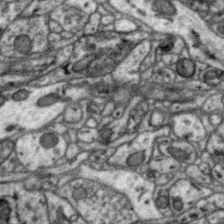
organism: Zebra finch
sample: Brain